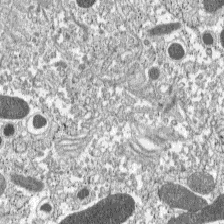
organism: C57BL Mouse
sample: Pancreatic islet